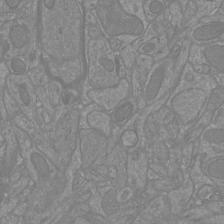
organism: Mouse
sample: Cortical neurons